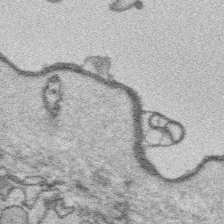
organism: Platynereis dumerilii